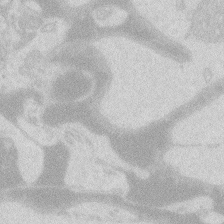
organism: Zebrafish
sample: Macrophage